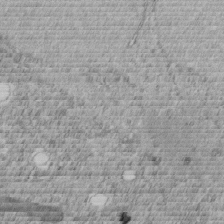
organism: C. elegans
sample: C. elegans embryo early stage